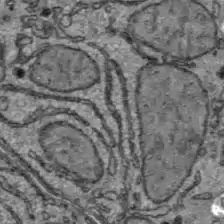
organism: C57BL Mouse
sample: Liver